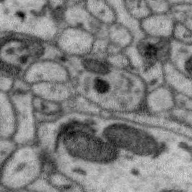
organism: Zebra finch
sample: Brain